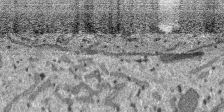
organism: Human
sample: Lung epithelial cells infected with SARS-CoV-2